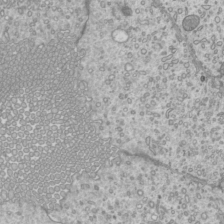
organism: Mouse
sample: Cilia; mouse epididymis